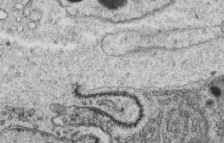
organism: C. elegans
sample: C. elegans oocyte; sperm cells